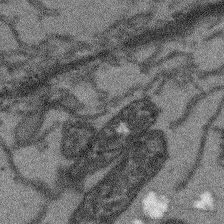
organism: Arabidopsis thaliana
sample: Root tip